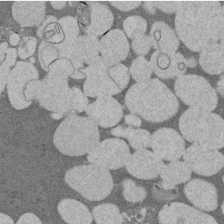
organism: Rat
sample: Salivary granule